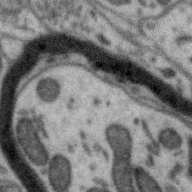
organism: Zebra finch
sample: Brain